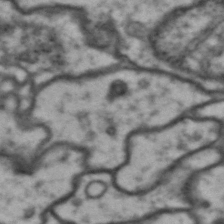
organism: Drosophila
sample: Brain